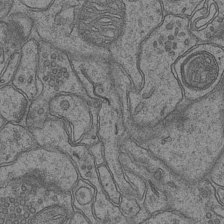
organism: Mouse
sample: CA1 Hippocampus